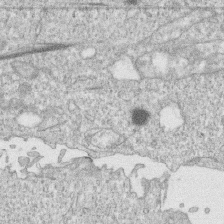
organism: Human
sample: HeLa cell HIV synapse